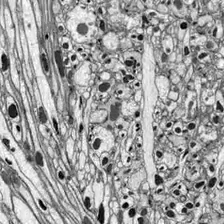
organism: Drosophila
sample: Optic lobe